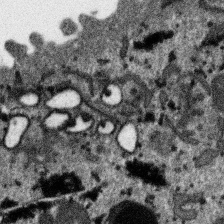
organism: Human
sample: Lung epithelial cells infected with SARS-CoV-2